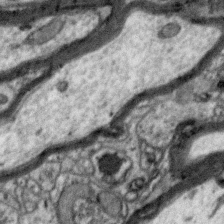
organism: Zebra finch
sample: Brain